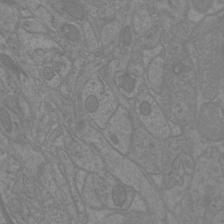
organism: Mouse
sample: Cortical neurons